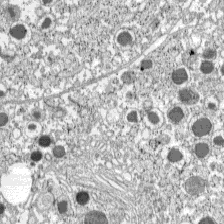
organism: C57BL Mouse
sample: Pancreatic islet